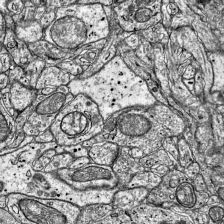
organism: Mouse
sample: Visual Cortex